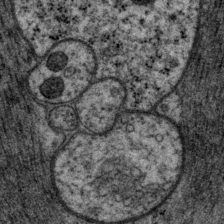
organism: P. pacificus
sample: Pharynx